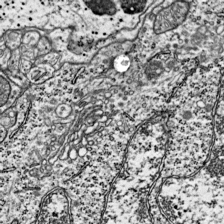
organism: Mouse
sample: Visual Cortex